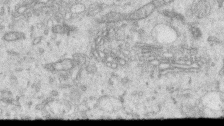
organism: Human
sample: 1205lu cells